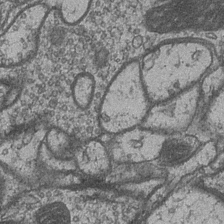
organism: Drosophila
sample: Optic medulla